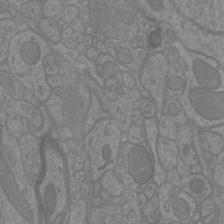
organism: Mouse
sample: Cortical neurons